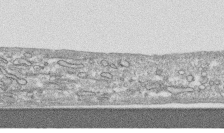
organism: Human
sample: CRL-1474